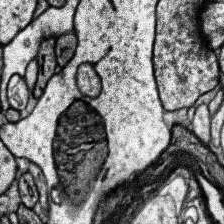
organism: Human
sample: Temporal Lobe